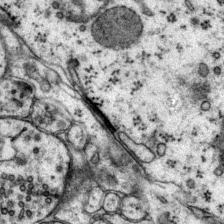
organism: Mouse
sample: Primary visual cortex